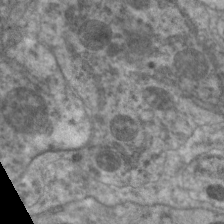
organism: C. elegans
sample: Pharynx